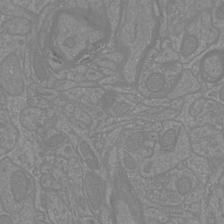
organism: Mouse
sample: Cortical neurons